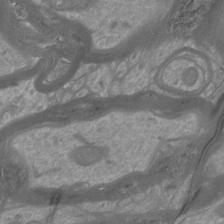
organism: Mouse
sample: Cortical neurons